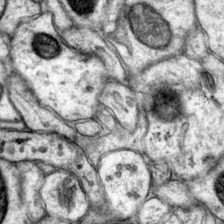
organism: Mouse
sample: Primary visual cortex